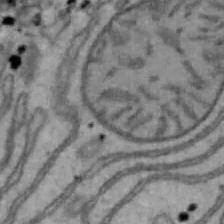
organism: Mouse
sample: Liver